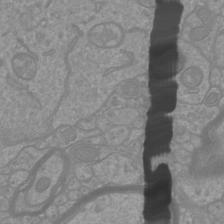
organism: Mouse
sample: Cortical neurons